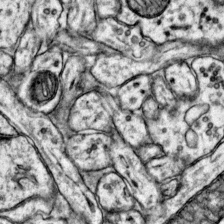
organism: Mouse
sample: Primary visual cortex